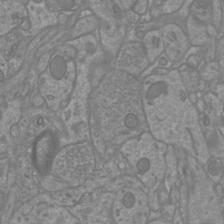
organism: Mouse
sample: Cortical neurons